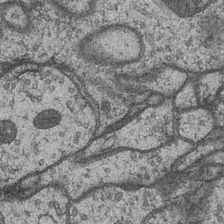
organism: Drosophila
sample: Optic medulla